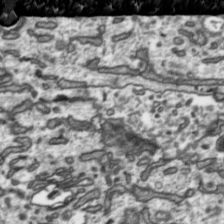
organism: Toxoplasma gondii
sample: Parasites in a vacuole inside a host cell